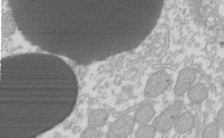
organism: Xenopus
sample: Cilia; centrioles in frog embryo cells